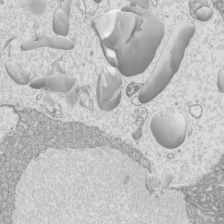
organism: Mouse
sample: Cilia; mouse epididymis